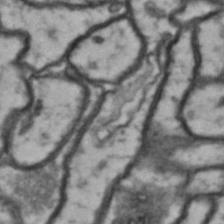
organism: Drosophila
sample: Brain